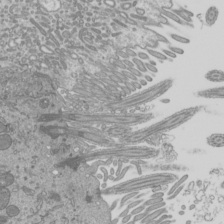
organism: Mouse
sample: Cilia; mouse epididymis